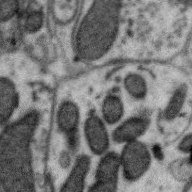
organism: Zebra finch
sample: Brain